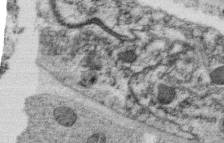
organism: C. elegans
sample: C. elegans oocyte; sperm cells